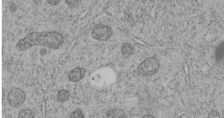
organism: C. elegans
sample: C. elegans embryo early stage